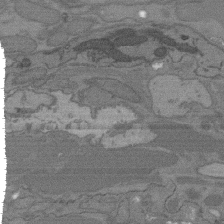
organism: C. elegans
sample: AFD neurons C. elegans